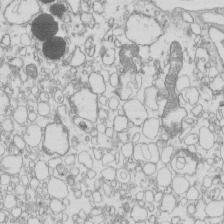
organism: Mouse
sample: Macrophages